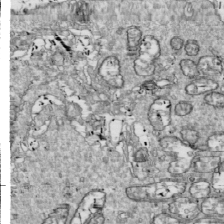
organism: Drosophila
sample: Cell division; meiosis; drosophila spermatocytes